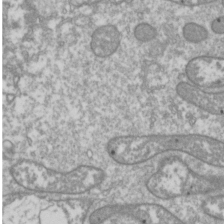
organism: Drosophila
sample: Cell division; meiosis; drosophila spermatocytes